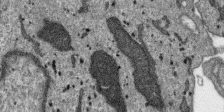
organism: Human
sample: Lung epithelial cells, uninfected (mock) control